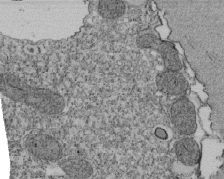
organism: Tetrahymena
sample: Cilia in tetrahymena